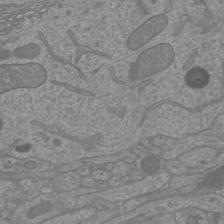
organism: Mouse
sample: Cortical neurons